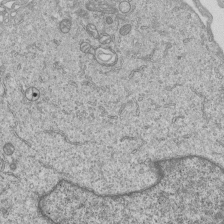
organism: Human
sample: MDA-MB-231 cells